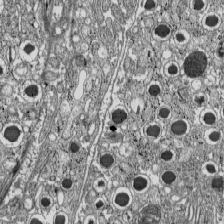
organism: C57BL Mouse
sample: Pancreatic islet